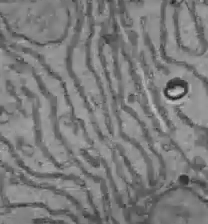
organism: C57BL Mouse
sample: Liver